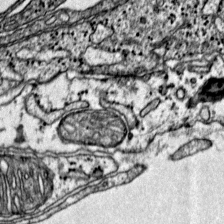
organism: Mouse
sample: Primary visual cortex